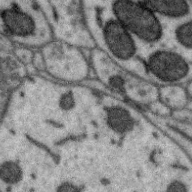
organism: Zebra finch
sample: Brain